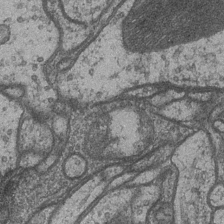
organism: Drosophila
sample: Optic medulla